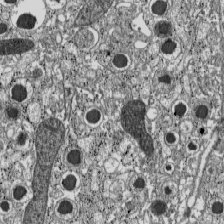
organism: C57BL Mouse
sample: Pancreatic islet